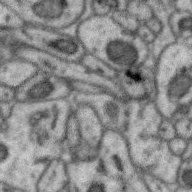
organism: Zebra finch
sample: Brain